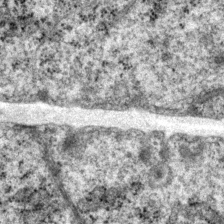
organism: P. pacificus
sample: Pharynx